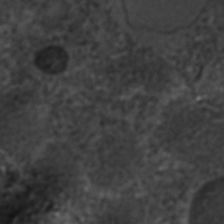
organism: C. elegans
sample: C. elegans embryo